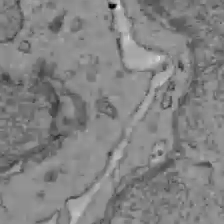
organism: C57BL Mouse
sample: Liver